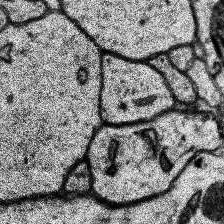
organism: Human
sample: Temporal Lobe